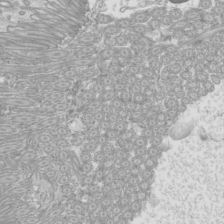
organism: Mouse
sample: Cilia; mouse epididymis